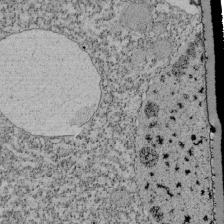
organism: Tetrahymena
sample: Cilia in tetrahymena